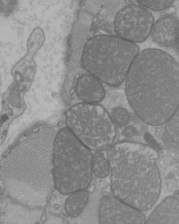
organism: C57BL Mouse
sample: Heart